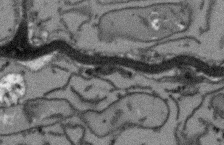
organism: Arabidopsis thaliana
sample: Root tip